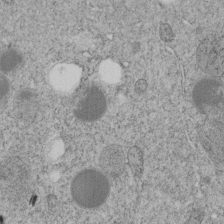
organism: C. elegans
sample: C. elegans embryo early stage